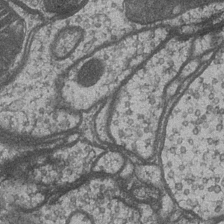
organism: Drosophila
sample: Optic medulla